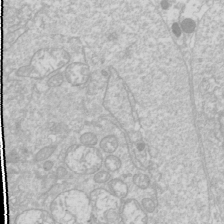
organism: Drosophila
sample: Cell division; meiosis; drosophila spermatocytes